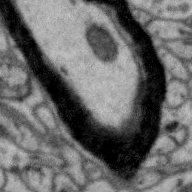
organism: Zebra finch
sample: Brain